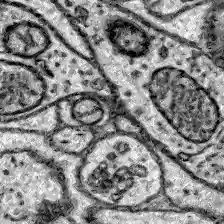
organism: Zebrafish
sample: Brain